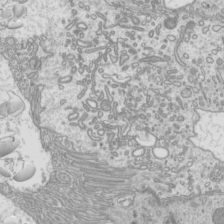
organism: Mouse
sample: Cilia; mouse epididymis